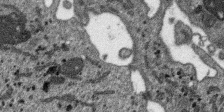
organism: Human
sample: Lung epithelial cells infected with SARS-CoV-2